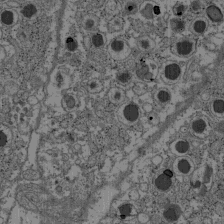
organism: C57BL Mouse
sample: Pancreatic islet